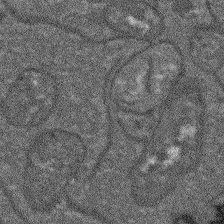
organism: Arabidopsis thaliana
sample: Root tip